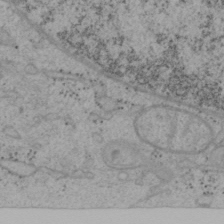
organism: Human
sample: HeLa cells